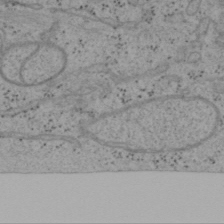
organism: Human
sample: HeLa cells